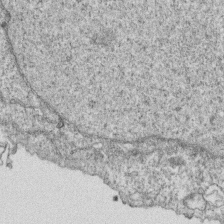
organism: Human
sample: HeLa cell HIV synapse